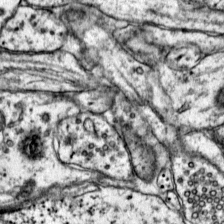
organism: Mouse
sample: Primary visual cortex